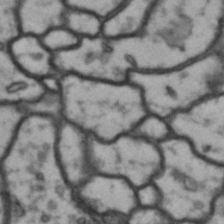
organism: Drosophila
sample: Brain